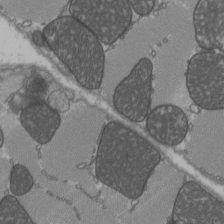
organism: C57BL Mouse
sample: Heart